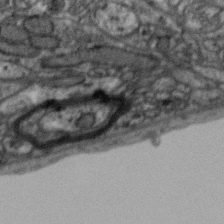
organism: Zebra finch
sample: Brain